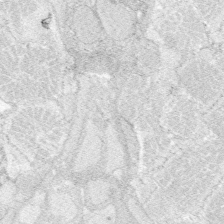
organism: Zebrafish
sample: Whole-Brain